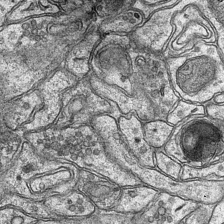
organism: Mouse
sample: CA1 Hippocampus